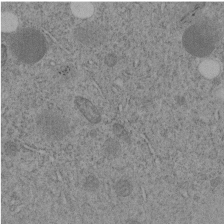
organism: C. elegans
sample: C. elegans embryo early stage